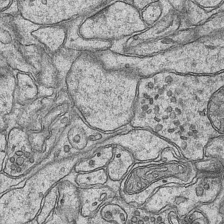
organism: Mouse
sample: CA1 Hippocampus